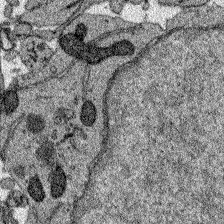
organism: Zebrafish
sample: Larval olfactory bulb